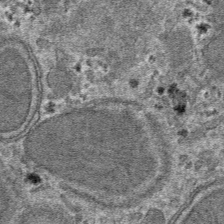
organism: Mouse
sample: Mouse hepatocytes